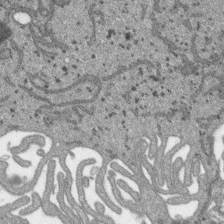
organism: Human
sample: Lung epithelial cells infected with SARS-CoV-2